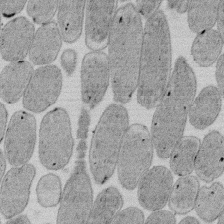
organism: E. coli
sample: Bacterial nucleoid